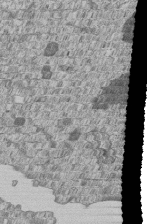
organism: Human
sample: MDA-MB-231 cells